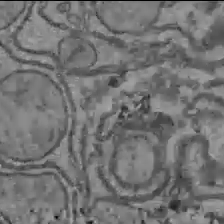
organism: C57BL Mouse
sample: Liver